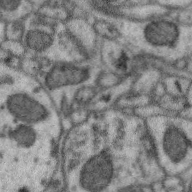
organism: Zebra finch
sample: Brain